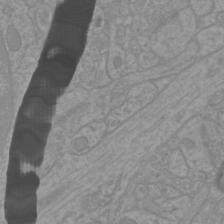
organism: Mouse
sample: Cortical neurons